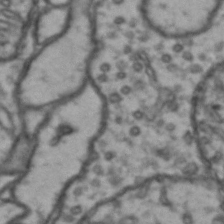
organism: Drosophila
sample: Brain